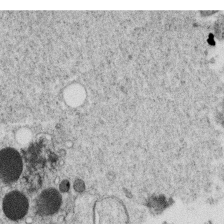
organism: C. elegans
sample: C. elegans oocyte; sperm cells